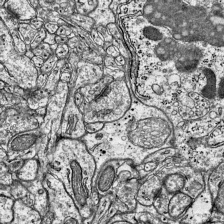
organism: Mouse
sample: Visual Cortex